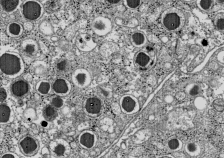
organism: C57BL Mouse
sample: Pancreatic islet